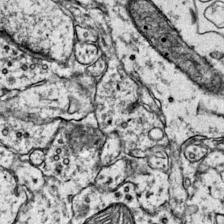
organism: Mouse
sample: Primary visual cortex